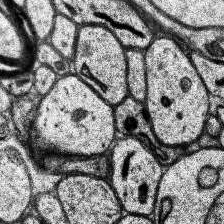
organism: Human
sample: Temporal Lobe